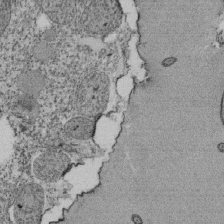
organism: Tetrahymena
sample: Cilia in tetrahymena